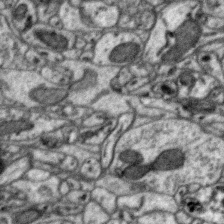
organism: Zebra finch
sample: Brain